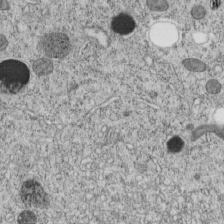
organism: C. elegans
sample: C. elegans embryo early stage